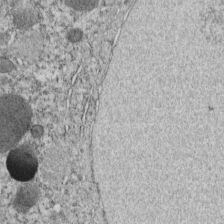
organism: C. elegans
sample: C. elegans embryo early stage